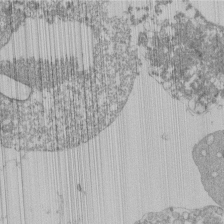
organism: Mouse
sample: Activated Pmel transgenic CD8+ T Cells